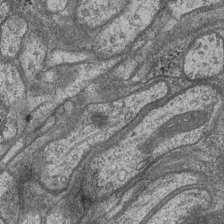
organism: Drosophila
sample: Optic medulla